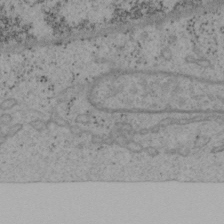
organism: Human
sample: HeLa cells